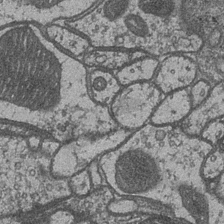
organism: Drosophila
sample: Optic medulla